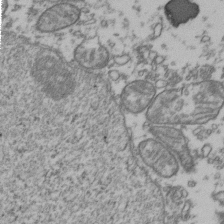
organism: Human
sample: Activated Jurkat CD4+ T cells